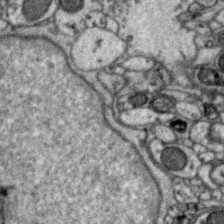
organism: Zebra finch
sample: Brain